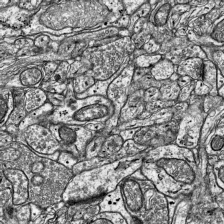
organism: Mouse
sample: Visual Cortex